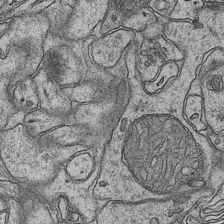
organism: Mouse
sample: CA1 Hippocampus